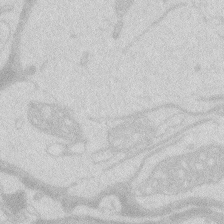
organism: Zebrafish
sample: Macrophage